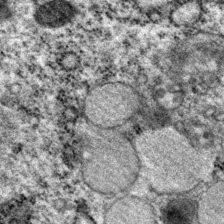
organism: P. pacificus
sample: Pharynx